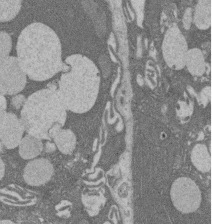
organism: Rat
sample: Salivary granule